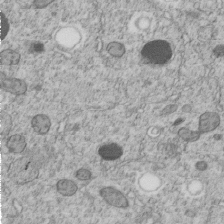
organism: C. elegans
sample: C. elegans embryo early stage